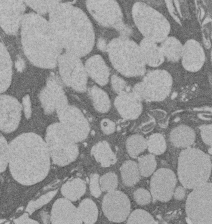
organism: Rat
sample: Salivary granule